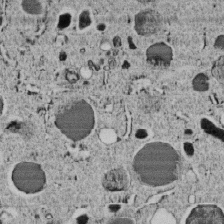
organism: C. elegans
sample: C. elegans embryo early stage